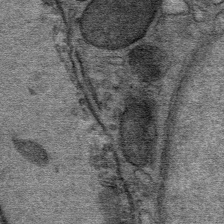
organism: Mouse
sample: Mouse Salivary gland